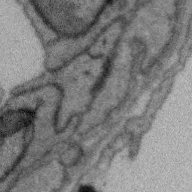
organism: Zebra finch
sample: Brain